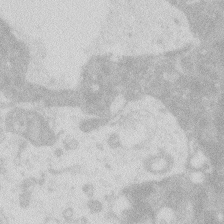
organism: Zebrafish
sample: Macrophage